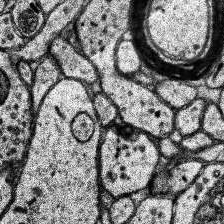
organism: Human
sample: Temporal Lobe